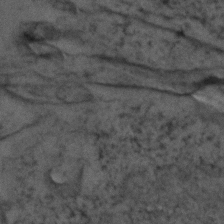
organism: Zebrafish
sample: Zebrafish embryo